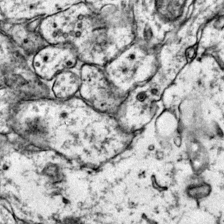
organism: Mouse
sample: Primary visual cortex